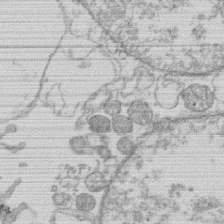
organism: Human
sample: Macrophage cells